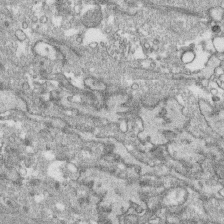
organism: Human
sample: CRL-1474